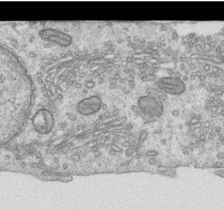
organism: Human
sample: Centriole in RPE cells